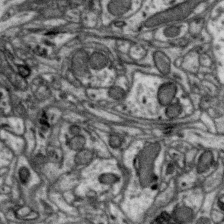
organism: Zebra finch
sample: Brain